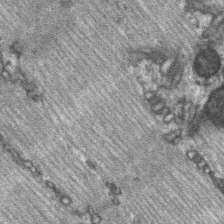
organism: C57BL Mouse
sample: Soleus